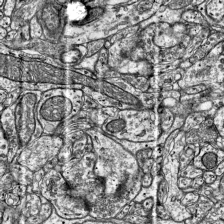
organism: Mouse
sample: Visual Cortex